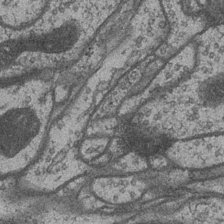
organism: Drosophila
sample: Optic medulla